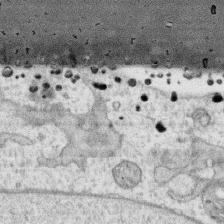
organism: Human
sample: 1205lu cells